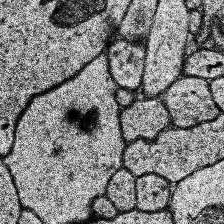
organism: Human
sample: Temporal Lobe